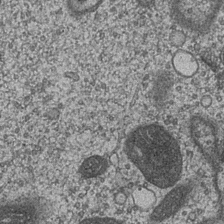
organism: Drosophila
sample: Optic medulla